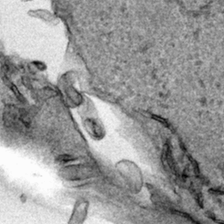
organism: Human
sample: Mitochondria in HCT116 cells